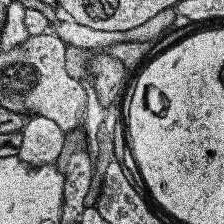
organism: Human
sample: Temporal Lobe